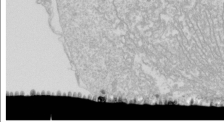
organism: Drosophila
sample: Cell division; meiosis; drosophila spermatocytes